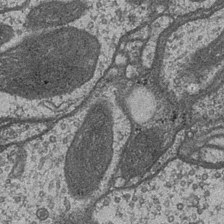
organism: Drosophila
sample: Optic medulla